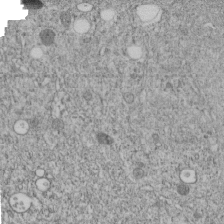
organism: C. elegans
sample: C. elegans embryo early stage